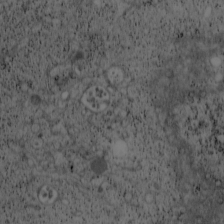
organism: African green monkey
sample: COS-7 cells